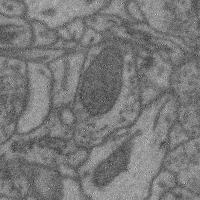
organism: Mouse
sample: Cerebral cortex